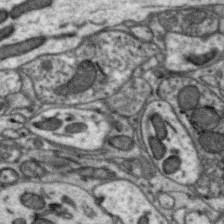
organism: Zebra finch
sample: Brain